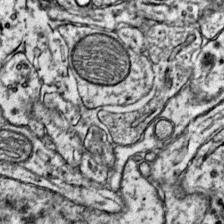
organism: Mouse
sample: Primary visual cortex